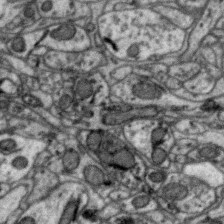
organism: Zebra finch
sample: Brain